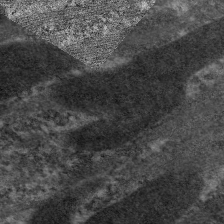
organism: C. elegans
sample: Pharynx